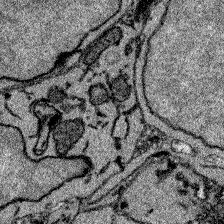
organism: Zebrafish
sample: Larval olfactory bulb